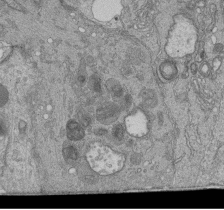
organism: Human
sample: Retinal organoid Rod and Cone cells